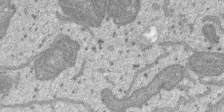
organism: Human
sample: Lung epithelial cells infected with SARS-CoV-2